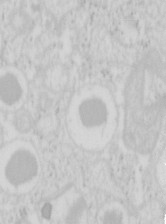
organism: Mouse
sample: Pancreas